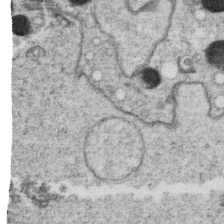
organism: C. elegans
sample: C. elegans oocyte; sperm cells